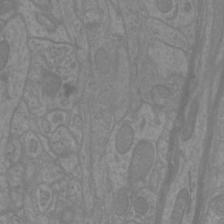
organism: Mouse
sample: Cortical neurons